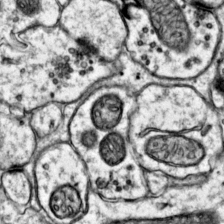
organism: Mouse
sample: Primary visual cortex